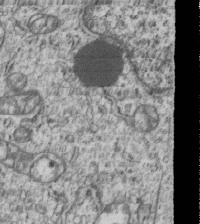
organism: Human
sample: MDA-MB-231 cells